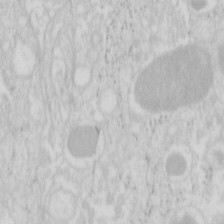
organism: Mouse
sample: Pancreas